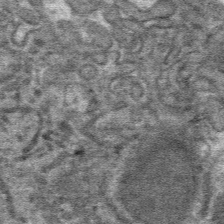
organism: Mouse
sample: Mouse hepatocytes